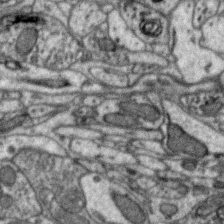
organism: Zebra finch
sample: Brain